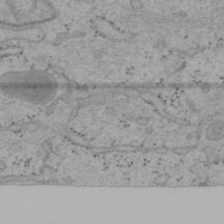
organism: Human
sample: HeLa cells